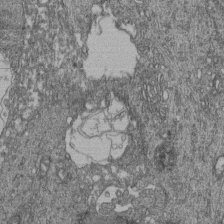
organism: Human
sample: Retinal organoid Rod and Cone cells